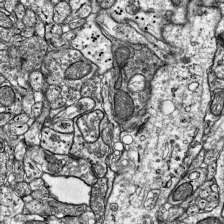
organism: Mouse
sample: Visual Cortex